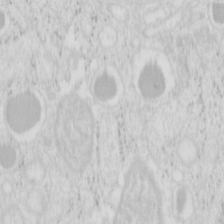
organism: Mouse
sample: Pancreas